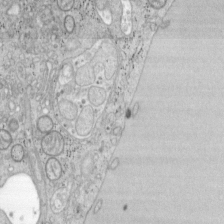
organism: Mouse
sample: OT-I killer T cells with ID8 ovarian cancer cells